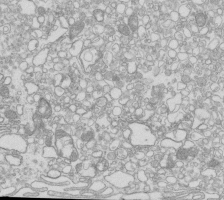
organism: Mouse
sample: Macrophages